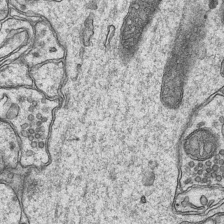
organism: Mouse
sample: CA1 Hippocampus